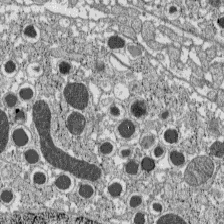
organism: C57BL Mouse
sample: Pancreatic islet